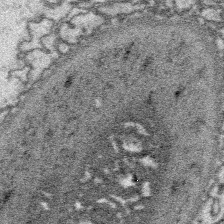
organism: Platynereis dumerilii